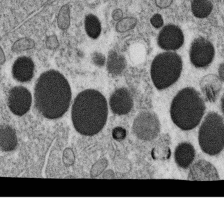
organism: C. elegans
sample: C. elegans oocyte; sperm cells